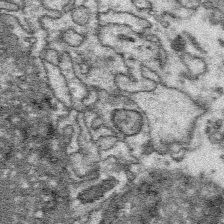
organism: Platynereis dumerilii